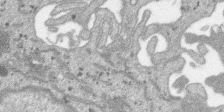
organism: Human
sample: Lung epithelial cells infected with SARS-CoV-2